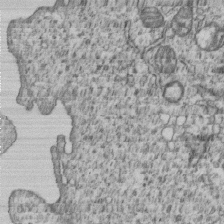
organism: Human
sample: MDA-MB-231 cells